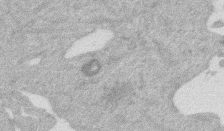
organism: Mouse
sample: Dividing mouse embryo 1 cell stage